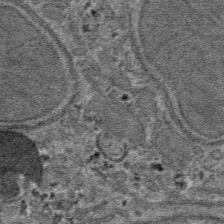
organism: Mouse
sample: Mouse hepatocytes